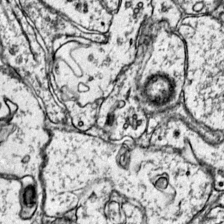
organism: Mouse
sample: Primary visual cortex